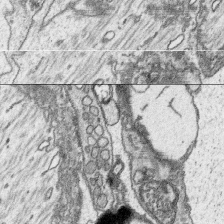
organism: Platynereis dumerilii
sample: Parapodia